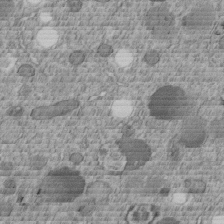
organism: C. elegans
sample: C. elegans embryo early stage